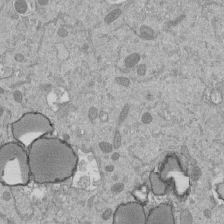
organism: Mouse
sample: ED-1 cell nuclei; centrioles